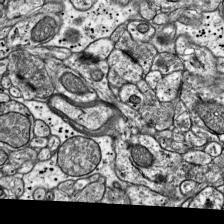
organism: Mouse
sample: Visual Cortex